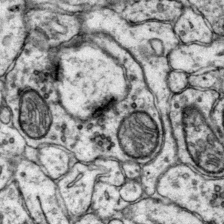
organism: Mouse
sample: Primary visual cortex